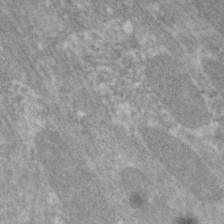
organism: C. elegans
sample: Pharynx